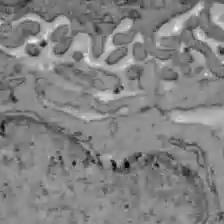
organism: C57BL Mouse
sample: Liver